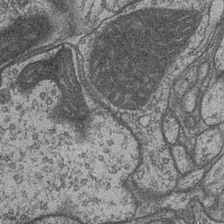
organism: Drosophila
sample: Optic medulla